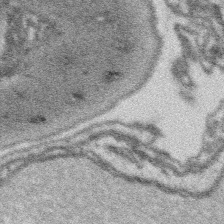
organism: Platynereis dumerilii